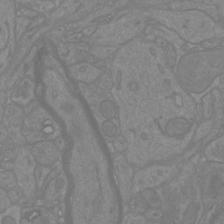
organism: Mouse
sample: Cortical neurons